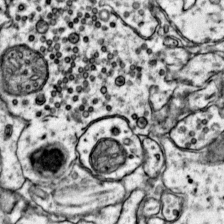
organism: Mouse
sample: Primary visual cortex